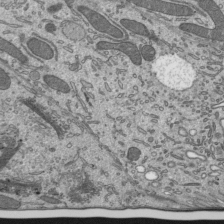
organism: Mouse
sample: Mouse epididymis efferent ductule cilia